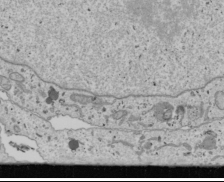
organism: Human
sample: Mitochondria in U2OS cells